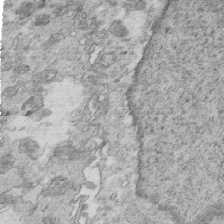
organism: Mouse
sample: Multiciliated cells